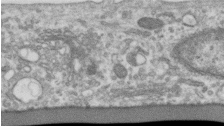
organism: Human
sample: Centriole in RPE cells